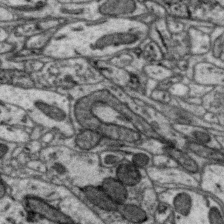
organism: Zebra finch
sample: Brain